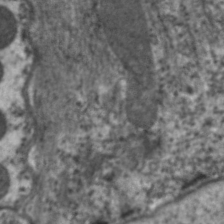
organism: C. elegans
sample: Pharynx